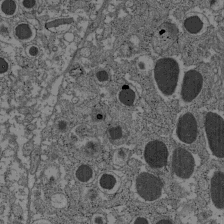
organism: C57BL Mouse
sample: Pancreatic islet